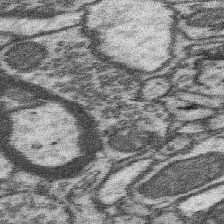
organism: Mouse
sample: Somatosensory cortex neuropil